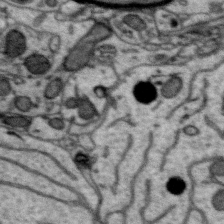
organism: Zebra finch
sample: Brain